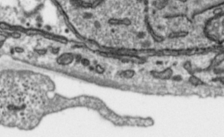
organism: Toxoplasma gondii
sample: Parasites in a vacuole inside a host cell